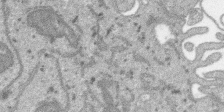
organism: Human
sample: Lung epithelial cells infected with SARS-CoV-2